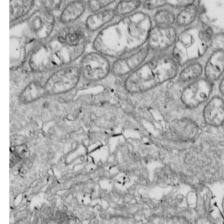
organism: Drosophila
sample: Cell division; meiosis; drosophila spermatocytes